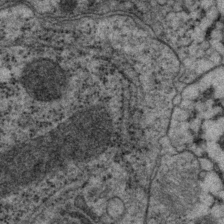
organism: P. pacificus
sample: Pharynx